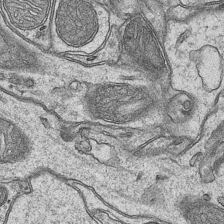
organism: Mouse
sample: CA1 Hippocampus